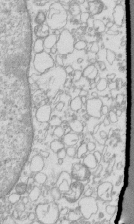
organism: Mouse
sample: Macrophages